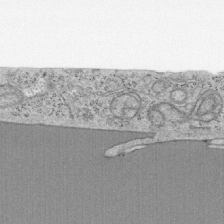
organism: Human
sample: HeLa cells